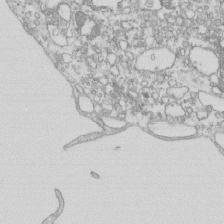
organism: Mouse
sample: Macrophages